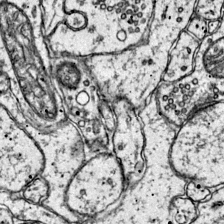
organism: Mouse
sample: Primary visual cortex